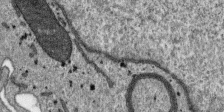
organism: Human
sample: Lung epithelial cells, uninfected (mock) control